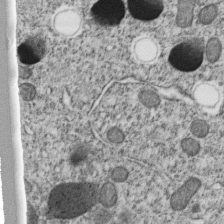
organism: C. elegans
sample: C. elegans embryo early stage